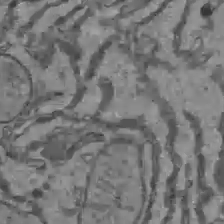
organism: C57BL Mouse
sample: Liver